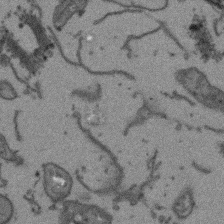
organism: Arabidopsis thaliana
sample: Root tip